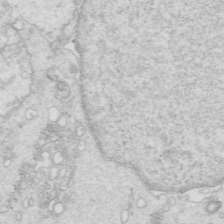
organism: Mouse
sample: Multiciliated cells